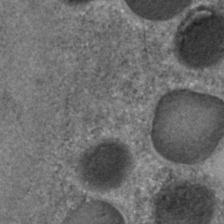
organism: C. elegans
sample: C. elegans embryo